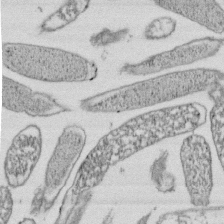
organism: E. coli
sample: Bacterial nucleoid